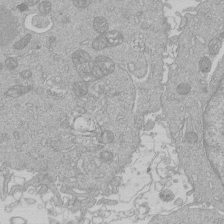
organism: Human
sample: Macrophage cells